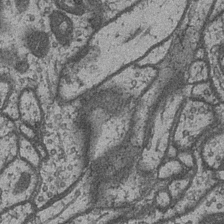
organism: Drosophila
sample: Optic medulla